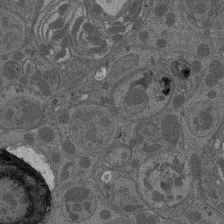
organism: Drosophila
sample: Antenna